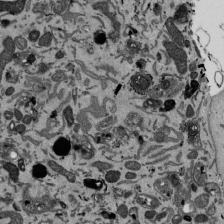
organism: Mouse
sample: ED-1 cell nuclei; centrioles